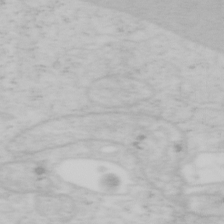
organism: Mouse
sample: OT-I killer T cells with ID8 ovarian cancer cells